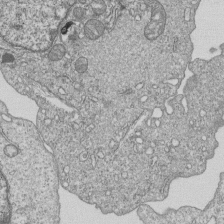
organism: Human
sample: MDA-MB-231 cells